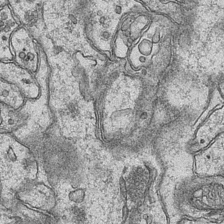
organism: Mouse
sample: CA1 Hippocampus